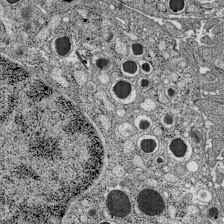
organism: C57BL Mouse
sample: Pancreatic islet